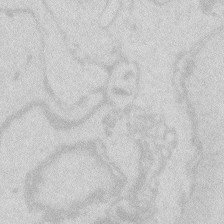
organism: Zebrafish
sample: Macrophage